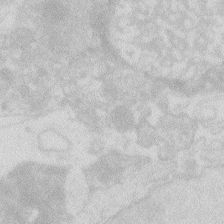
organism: Zebrafish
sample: Macrophage